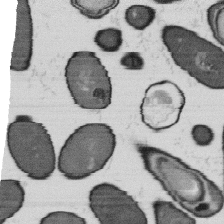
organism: B. subtilis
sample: Bacterial spore